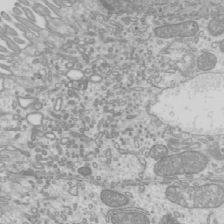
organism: Mouse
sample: Cilia; mouse epididymis